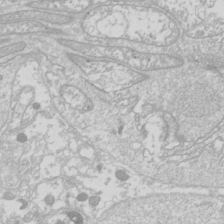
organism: Drosophila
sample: Cell division; meiosis; drosophila spermatocytes